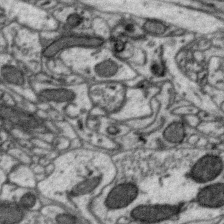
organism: Zebra finch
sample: Brain